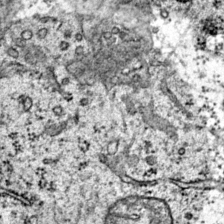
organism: Mouse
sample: Primary visual cortex